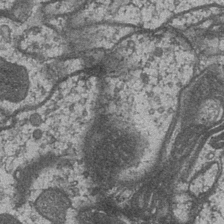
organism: Drosophila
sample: Optic medulla